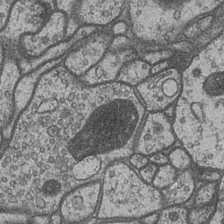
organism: Drosophila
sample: Optic medulla